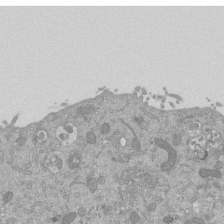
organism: Mouse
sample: ED-1 cell nuclei; centrioles